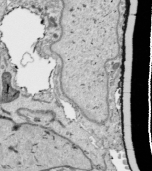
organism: Human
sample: Mitochondria in HCT116 cells